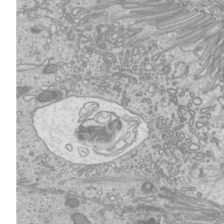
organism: Mouse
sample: Cilia; mouse epididymis